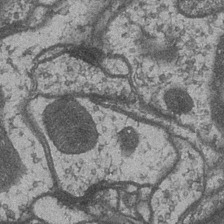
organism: Drosophila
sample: Optic medulla